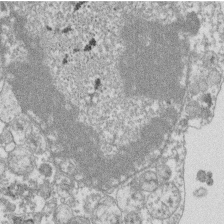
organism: Human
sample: HeLa cell HIV synapse